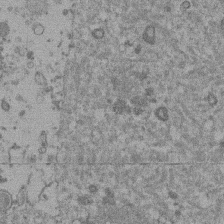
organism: Mouse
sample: Dividing mouse embryo 1 cell stage